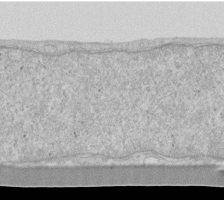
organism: Human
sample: Fibroblast cells